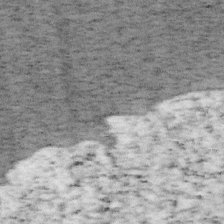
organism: Mouse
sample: OT-I killer T cells with ID8 ovarian cancer cells